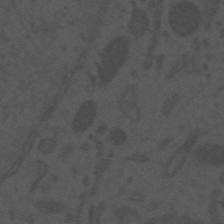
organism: Mouse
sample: Suprachiasmatic nucleus